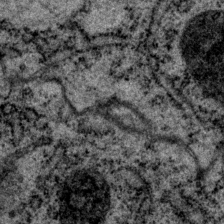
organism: P. pacificus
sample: Pharynx